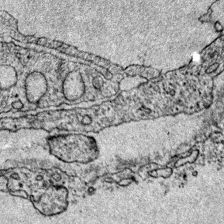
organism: Mouse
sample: Primary visual cortex